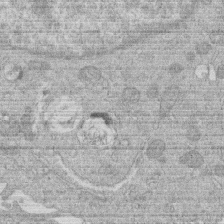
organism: Human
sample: Macrophage cells